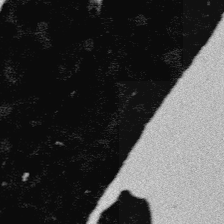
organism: Platynereis dumerilii